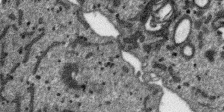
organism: Human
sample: Lung epithelial cells infected with SARS-CoV-2